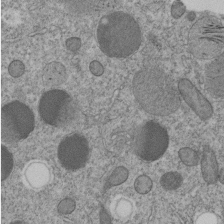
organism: C. elegans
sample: C. elegans embryo early stage